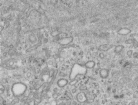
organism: Human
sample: Centriole in RPE cells